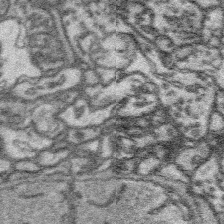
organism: Platynereis dumerilii